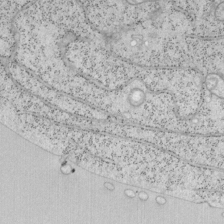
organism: Mouse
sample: OT-I killer T cells with ID8 ovarian cancer cells